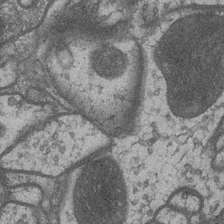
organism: Drosophila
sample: Optic medulla